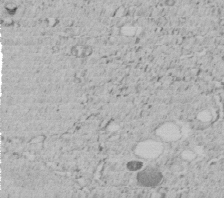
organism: C. elegans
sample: C. elegans embryo early stage